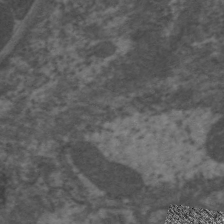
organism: C. elegans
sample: Pharynx